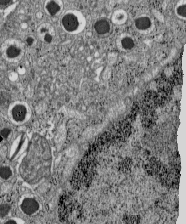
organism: C57BL Mouse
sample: Pancreatic islet